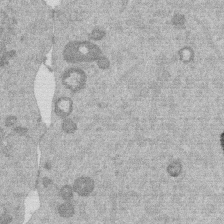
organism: Mouse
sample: Dividing mouse embryo 1 cell stage